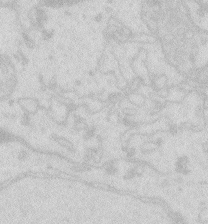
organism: Zebrafish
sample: Macrophage